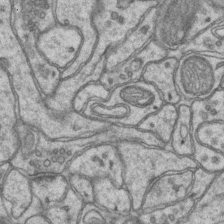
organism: Mouse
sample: CA1 Hippocampus